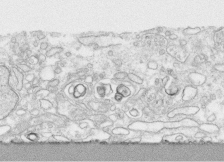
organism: Human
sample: CRL-1474